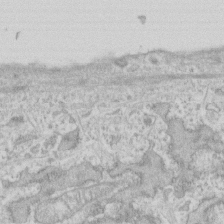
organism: Human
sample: Fibroblast cells